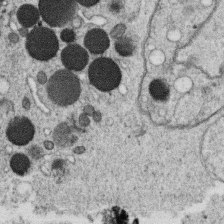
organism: C. elegans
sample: C. elegans oocyte; sperm cells